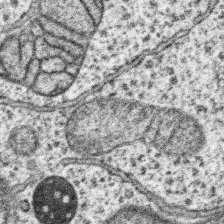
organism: Human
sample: HeLa cells